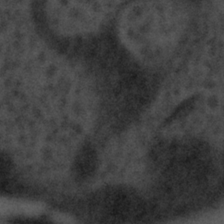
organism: Tuwongella immobilis